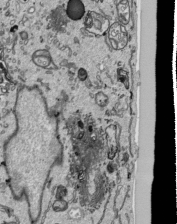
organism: Human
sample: Mitochondria in HCT116 cells